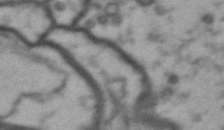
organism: Drosophila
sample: Brain